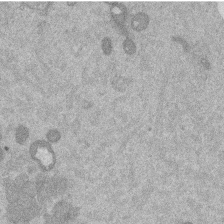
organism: Mouse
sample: Dividing mouse embryo 1 cell stage